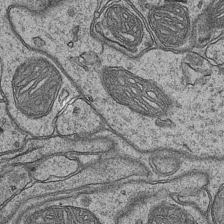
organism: Mouse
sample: CA1 Hippocampus